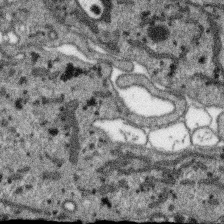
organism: Human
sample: Lung epithelial cells infected with SARS-CoV-2